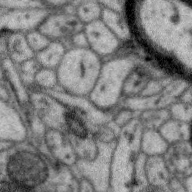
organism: Zebra finch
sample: Brain